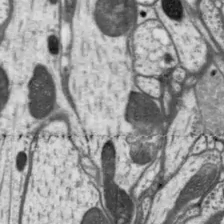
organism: Drosophila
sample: Protocerebral bridge